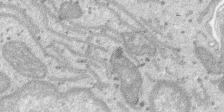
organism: Human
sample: Lung epithelial cells infected with SARS-CoV-2